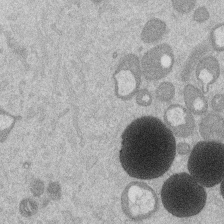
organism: Mouse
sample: Dividing mouse embryo 1 cell stage